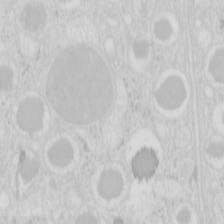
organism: Mouse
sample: Pancreas